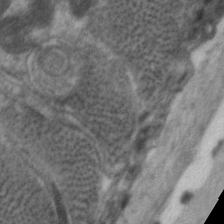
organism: C. elegans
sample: Pharynx